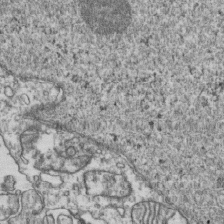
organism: Human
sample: Activated Jurkat CD4+ T cells